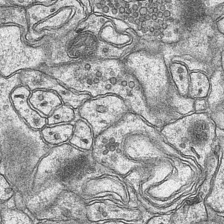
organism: Mouse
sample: CA1 Hippocampus